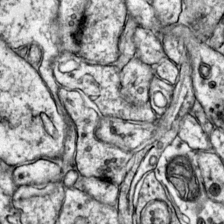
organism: Mouse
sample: Primary visual cortex